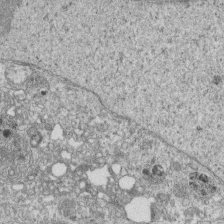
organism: Human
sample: HeLa cell HIV synapse